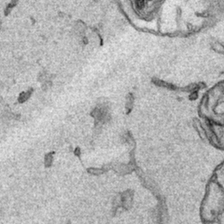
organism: Human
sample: Mitochondria in HCT116 cells